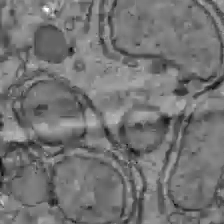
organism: C57BL Mouse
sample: Liver